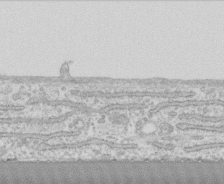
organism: Human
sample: CRL-1474